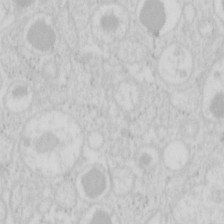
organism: Mouse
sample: Pancreas